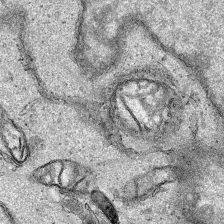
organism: Human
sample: Mitochondria in HCT116 cells